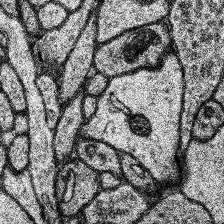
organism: Human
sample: Temporal Lobe